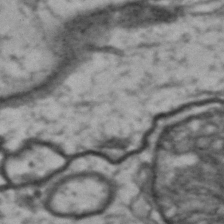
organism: Drosophila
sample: Brain